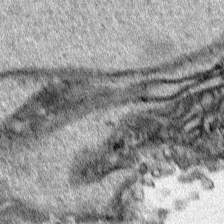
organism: Human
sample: Mitochondria in HCT116 cells